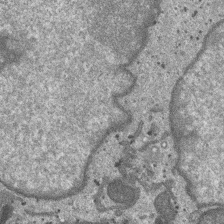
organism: Human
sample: Lung epithelial cells infected with SARS-CoV-2